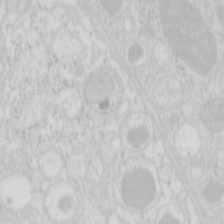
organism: Mouse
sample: Pancreas